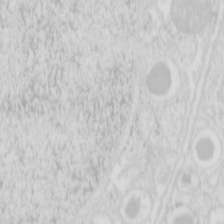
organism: Mouse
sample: Pancreas